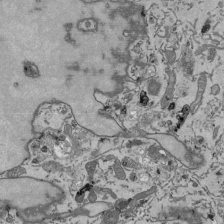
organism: Mouse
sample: ED-1 cell nuclei; centrioles